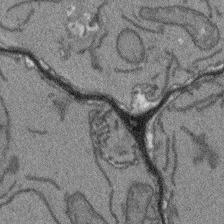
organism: Arabidopsis thaliana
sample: Root tip